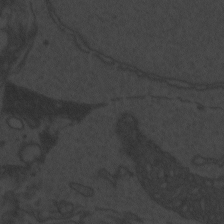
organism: Zebrafish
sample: Macrophage infected with Toxoplasma gondii